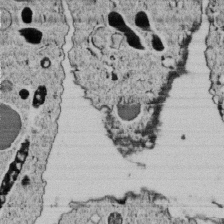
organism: C. elegans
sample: C. elegans embryo early stage